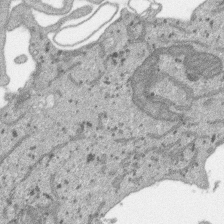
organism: Human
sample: Lung epithelial cells infected with SARS-CoV-2